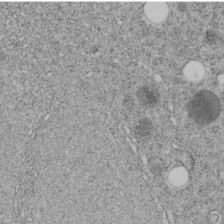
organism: C. elegans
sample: C. elegans embryo early stage